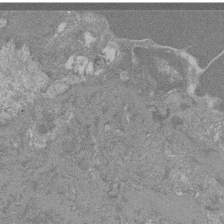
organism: Mouse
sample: Glomerulus